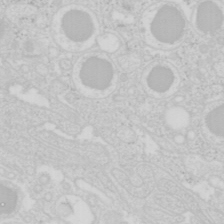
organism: Mouse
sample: Pancreas